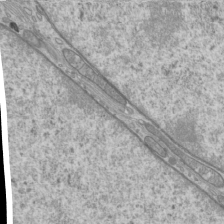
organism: Mouse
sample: Cilia; mouse epididymis